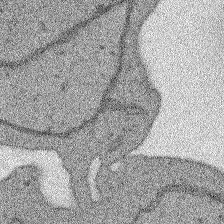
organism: Human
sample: HeLa cells